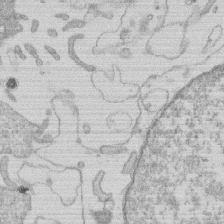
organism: Human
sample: Macrophage cells